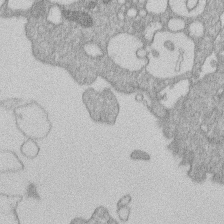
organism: Human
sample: Macrophage cells